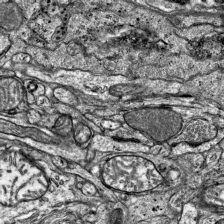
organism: Mouse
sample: Visual Cortex